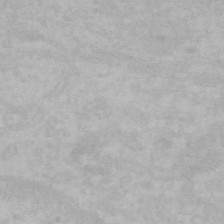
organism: Mouse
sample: Choroid plexus